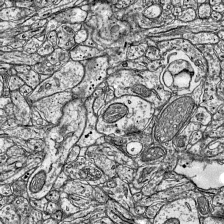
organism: Mouse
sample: Visual Cortex